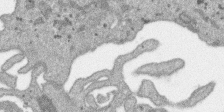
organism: Human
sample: Lung epithelial cells infected with SARS-CoV-2